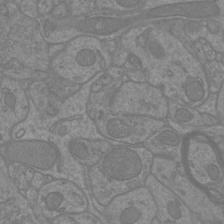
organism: Mouse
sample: Cortical neurons